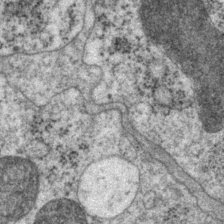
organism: P. pacificus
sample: Pharynx